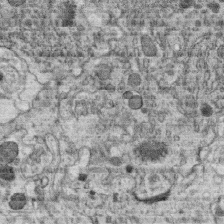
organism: C. elegans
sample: C. elegans oocyte; sperm cells